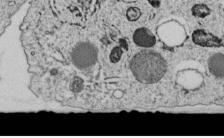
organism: C. elegans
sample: C. elegans embryo early stage